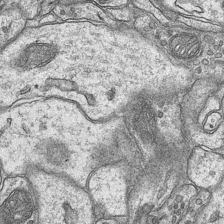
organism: Mouse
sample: CA1 Hippocampus